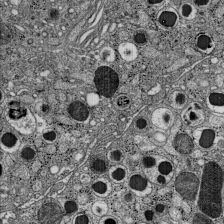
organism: C57BL Mouse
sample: Pancreatic islet